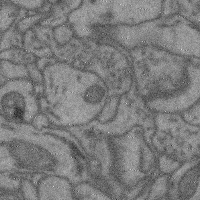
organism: Mouse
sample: Cerebral cortex